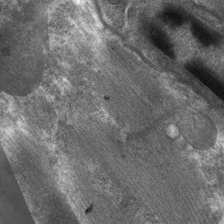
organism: C. elegans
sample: Pharynx